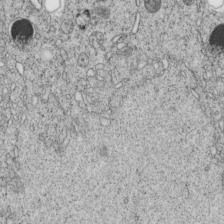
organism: C. elegans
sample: C. elegans embryo early stage